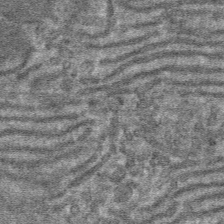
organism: Mouse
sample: Mouse hepatocytes